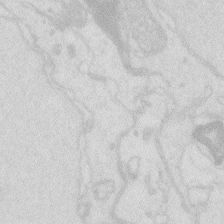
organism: Zebrafish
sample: Macrophage